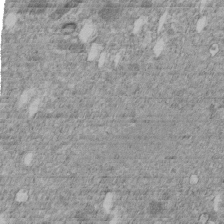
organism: C. elegans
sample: C. elegans embryo early stage